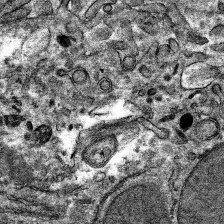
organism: Mouse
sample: Mouse hepatocytes